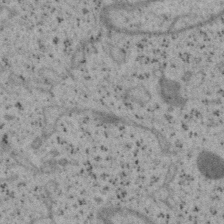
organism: Human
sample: HeLa cells